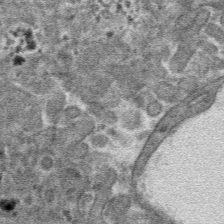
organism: Mouse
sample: Mouse hepatocytes